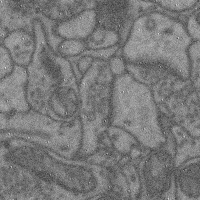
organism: Mouse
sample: Cerebral cortex